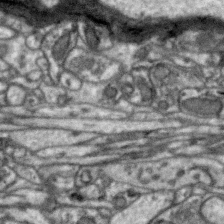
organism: Zebra finch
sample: Brain